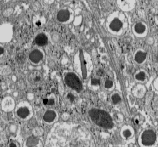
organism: C57BL Mouse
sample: Pancreatic islet